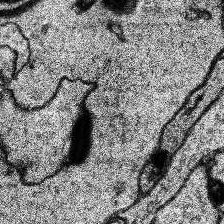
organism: Human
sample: Temporal Lobe